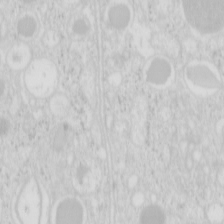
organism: Mouse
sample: Pancreas